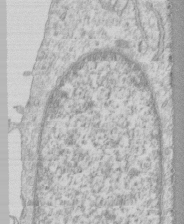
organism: Human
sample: CRL-1474